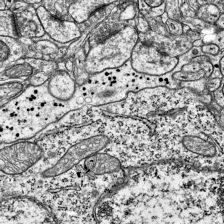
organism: Mouse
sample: Visual Cortex